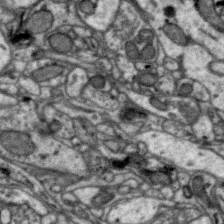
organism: Zebra finch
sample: Brain